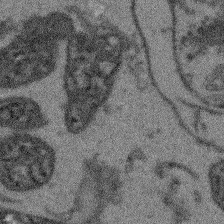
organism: Arabidopsis thaliana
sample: Root tip